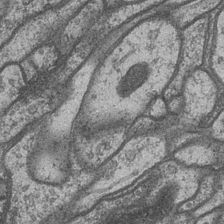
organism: Drosophila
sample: Optic medulla